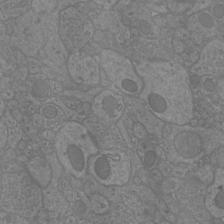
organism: Mouse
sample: Cortical neurons